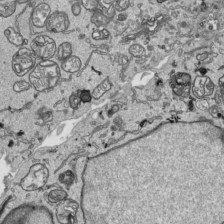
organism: Human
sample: Mitochondria in HCT116 cells